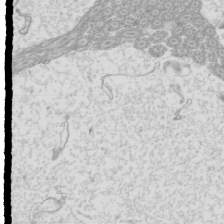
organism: Mouse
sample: Cilia; mouse epididymis